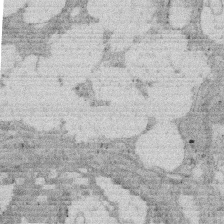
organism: Rat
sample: Salivary granule